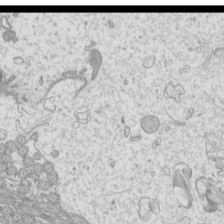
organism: Mouse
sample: Cilia; mouse epididymis